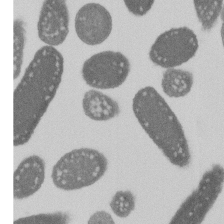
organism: E. coli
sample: Bacterial nucleoid